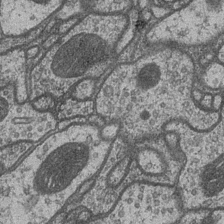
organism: Drosophila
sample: Optic medulla